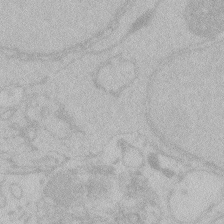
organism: Zebrafish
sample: Macrophage infected with Toxoplasma gondii